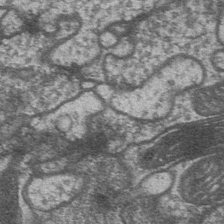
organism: Drosophila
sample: Optic medulla